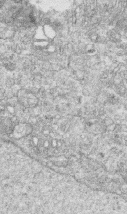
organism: Human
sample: HeLa cell HIV synapse